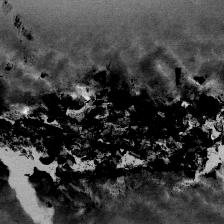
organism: Mouse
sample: Mouse Salivary gland